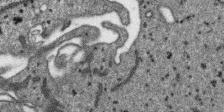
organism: Human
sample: Lung epithelial cells infected with SARS-CoV-2